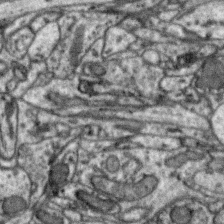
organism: Zebra finch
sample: Brain